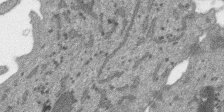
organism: Human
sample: Lung epithelial cells infected with SARS-CoV-2